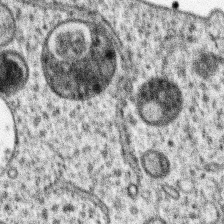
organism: Human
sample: HeLa cells